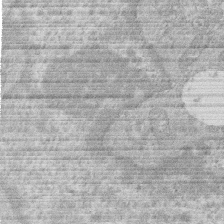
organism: Human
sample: Macrophage cells